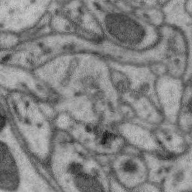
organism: Zebra finch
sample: Brain